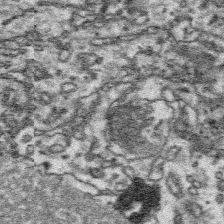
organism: Platynereis dumerilii